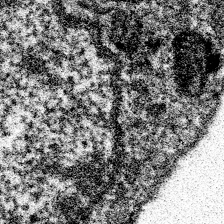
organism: Spongilla lacustris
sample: Neuroid cell